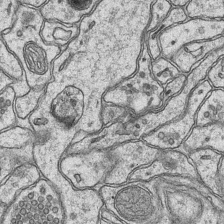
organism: Mouse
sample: CA1 Hippocampus